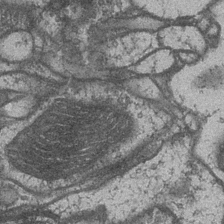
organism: Drosophila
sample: Optic medulla